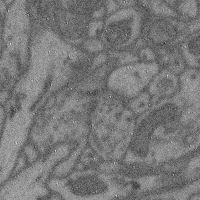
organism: Mouse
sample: Cerebral cortex